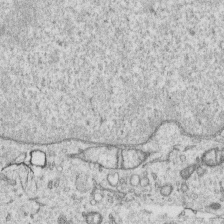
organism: Human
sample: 1205lu cells